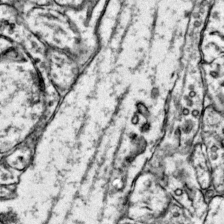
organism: Mouse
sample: Primary visual cortex